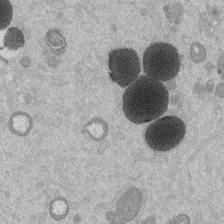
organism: Mouse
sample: Dividing mouse embryo 1 cell stage